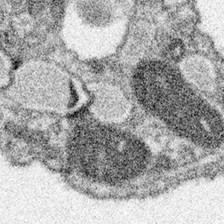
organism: Spongilla lacustris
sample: Neuroid cell